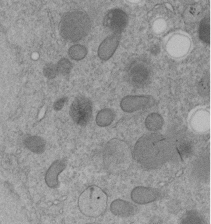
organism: C. elegans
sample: C. elegans embryo early stage